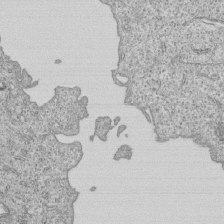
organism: Human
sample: MDA-MB-231 cells